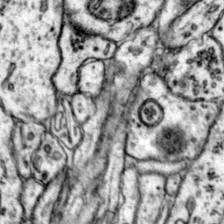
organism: Mouse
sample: Primary visual cortex